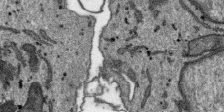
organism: Human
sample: Lung epithelial cells, uninfected (mock) control